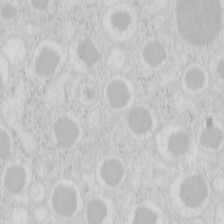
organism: Mouse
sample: Pancreas